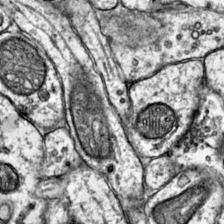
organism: Mouse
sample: Primary visual cortex